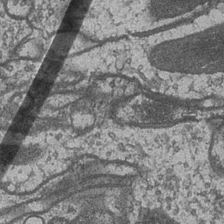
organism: Drosophila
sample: Optic medulla